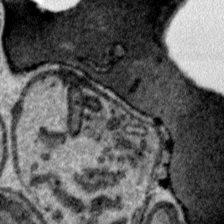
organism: Plasmodium falciparum